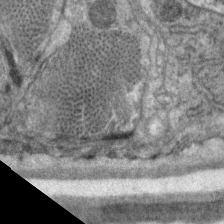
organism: C. elegans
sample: Pharynx